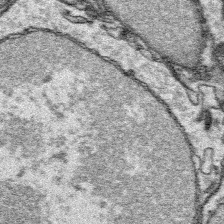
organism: Platynereis dumerilii